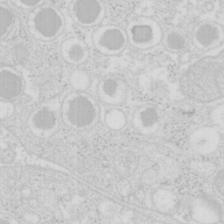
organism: Mouse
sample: Pancreas